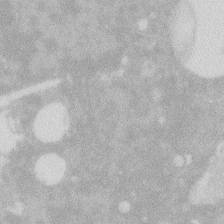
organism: Zebrafish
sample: Macrophage